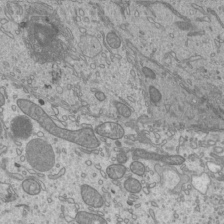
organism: Mouse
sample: Cilia; mouse epididymis